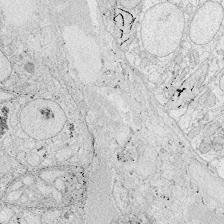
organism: Zebrafish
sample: Whole-Brain